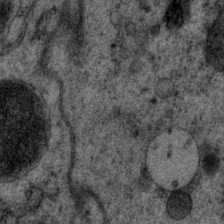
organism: P. pacificus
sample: Pharynx